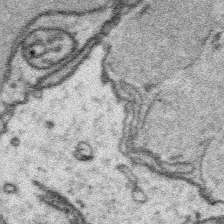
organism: Platynereis dumerilii